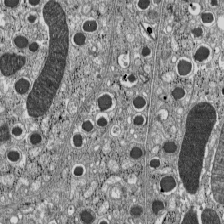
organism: C57BL Mouse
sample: Pancreatic islet